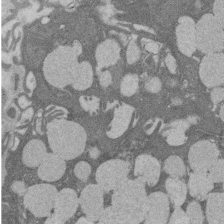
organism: Rat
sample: Salivary granule